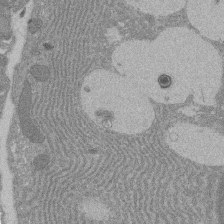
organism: Rat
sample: Salivary granule